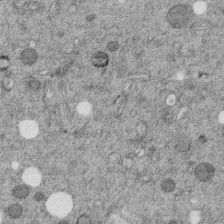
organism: C. elegans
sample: C. elegans embryo early stage